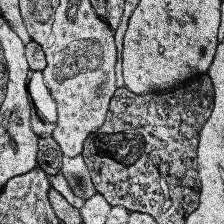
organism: Human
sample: Temporal Lobe